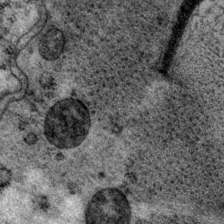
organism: P. pacificus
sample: Pharynx